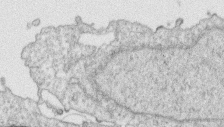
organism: Human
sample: HeLa cell HIV synapse